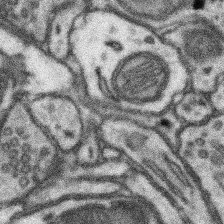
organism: Mouse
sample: Somatosensory cortex neuropil